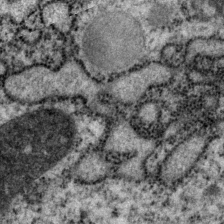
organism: P. pacificus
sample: Pharynx